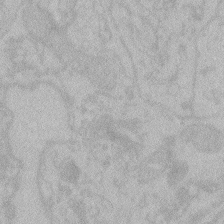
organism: Zebrafish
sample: Macrophage infected with Toxoplasma gondii